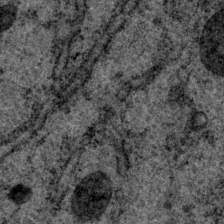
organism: P. pacificus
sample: Pharynx